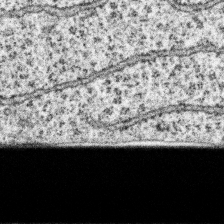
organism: Human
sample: HeLa cells